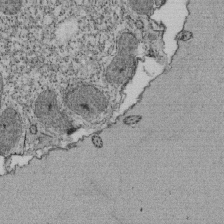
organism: Tetrahymena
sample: Cilia in tetrahymena